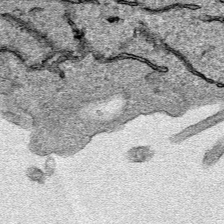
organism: Human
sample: Mitochondria in HCT116 cells